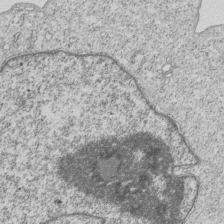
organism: Human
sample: MDA-MB-231 cells